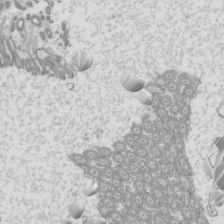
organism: Mouse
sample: Cilia; mouse epididymis